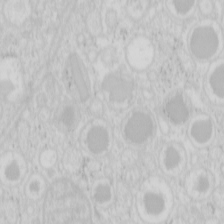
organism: Mouse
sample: Pancreas